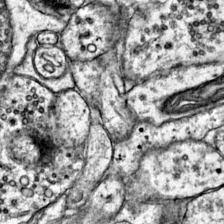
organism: Mouse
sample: Primary visual cortex